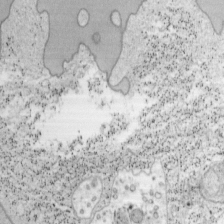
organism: Mouse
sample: OT-I killer T cells with ID8 ovarian cancer cells